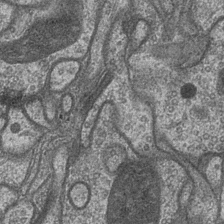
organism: Drosophila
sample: Optic medulla